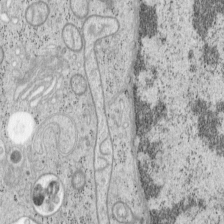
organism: Mouse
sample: OT-I killer T cells with ID8 ovarian cancer cells